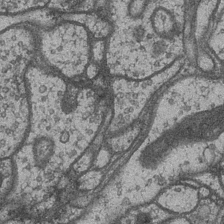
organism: Drosophila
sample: Optic medulla